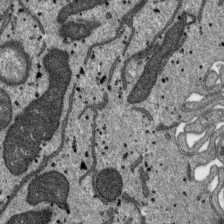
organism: Human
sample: Lung epithelial cells, uninfected (mock) control